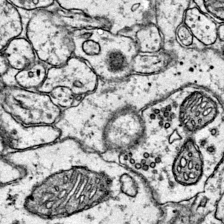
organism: Mouse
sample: Primary visual cortex